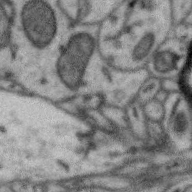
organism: Zebra finch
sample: Brain